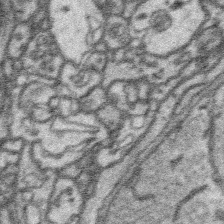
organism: Platynereis dumerilii